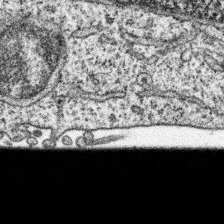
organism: Human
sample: HeLa cells